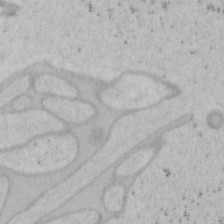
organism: Human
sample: HeLa cells